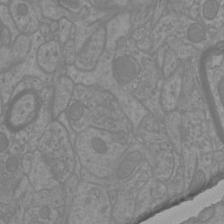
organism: Mouse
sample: Cortical neurons